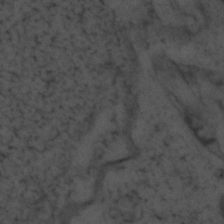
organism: Zebrafish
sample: Zebrafish embryo